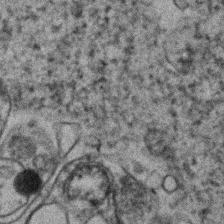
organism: Human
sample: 1205lu cells